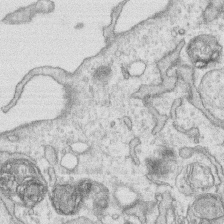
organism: Human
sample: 1205lu cells